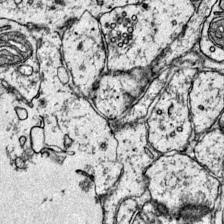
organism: Mouse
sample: Primary visual cortex